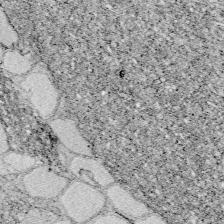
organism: Zebrafish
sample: Whole-Brain